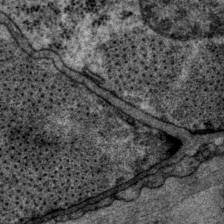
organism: P. pacificus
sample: Pharynx